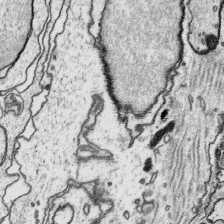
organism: Platynereis dumerilii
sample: Parapodia